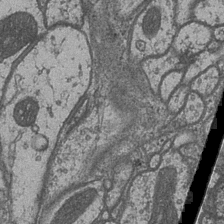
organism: Drosophila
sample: Optic medulla